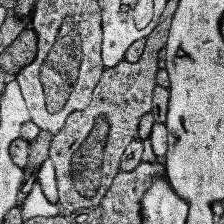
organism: Human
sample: Temporal Lobe